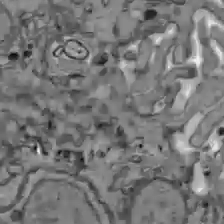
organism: C57BL Mouse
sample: Liver